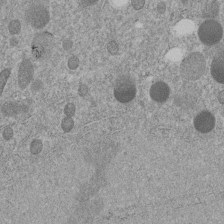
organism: C. elegans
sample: C. elegans embryo early stage